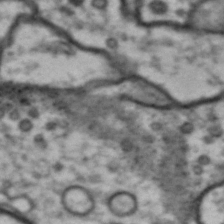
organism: Drosophila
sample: Brain